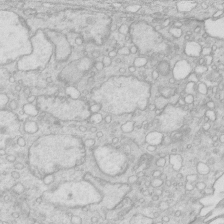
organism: Mouse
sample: Multiciliated cells